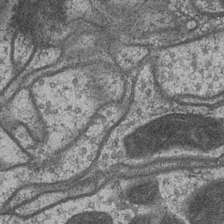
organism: Drosophila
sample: Optic medulla